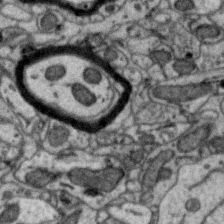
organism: Zebra finch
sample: Brain